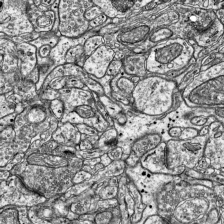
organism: Mouse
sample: Visual Cortex